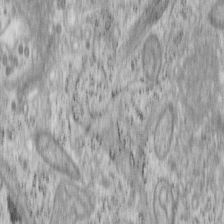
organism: Human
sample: HeLa cells